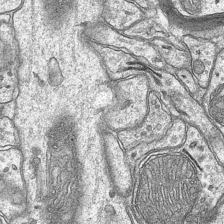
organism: Mouse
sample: CA1 Hippocampus